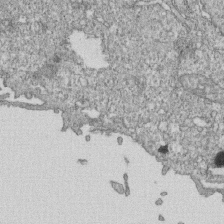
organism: Human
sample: HeLa cell HIV synapse